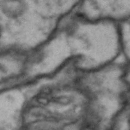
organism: Drosophila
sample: Brain